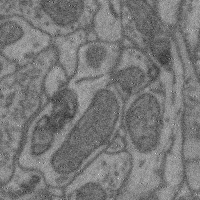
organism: Mouse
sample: Cerebral cortex